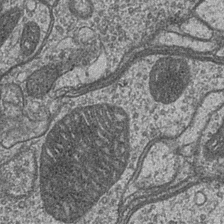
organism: Drosophila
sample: Optic medulla